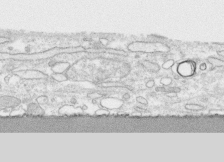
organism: Human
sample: CRL-1474